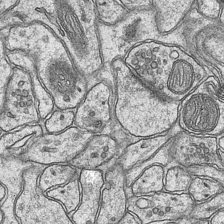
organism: Mouse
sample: CA1 Hippocampus